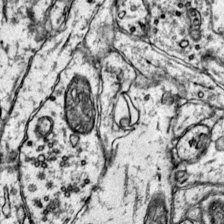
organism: Mouse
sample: Primary visual cortex